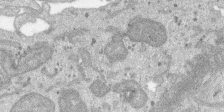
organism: Human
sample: Lung epithelial cells infected with SARS-CoV-2